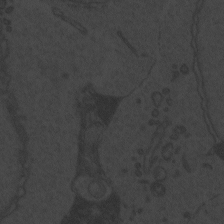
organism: Zebrafish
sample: Macrophage infected with Toxoplasma gondii